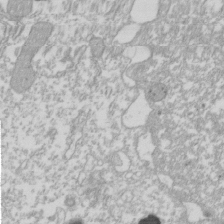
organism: Xenopus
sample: Cilia; centrioles in frog embryo cells